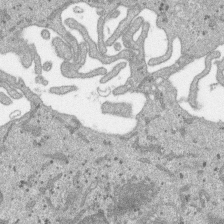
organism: Human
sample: Lung epithelial cells infected with SARS-CoV-2